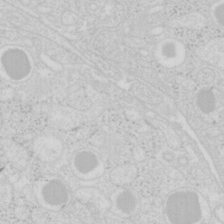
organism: Mouse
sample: Pancreas